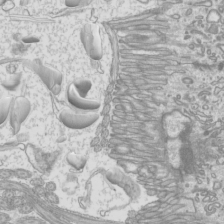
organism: Mouse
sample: Cilia; mouse epididymis